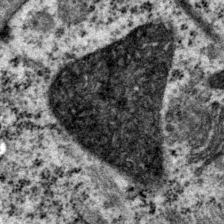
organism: P. pacificus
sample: Pharynx